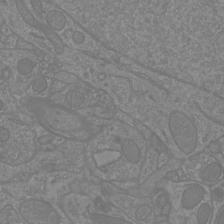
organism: Mouse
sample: Cortical neurons